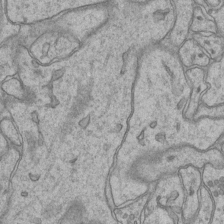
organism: Mouse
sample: CA1 Hippocampus